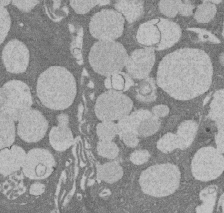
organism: Rat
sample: Salivary granule